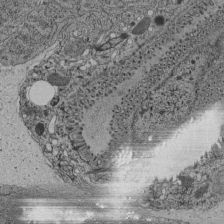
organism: C. elegans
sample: C. elegans pharynx